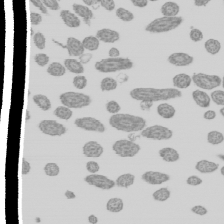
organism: Mouse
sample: Cilia; mouse epididymis